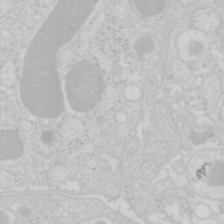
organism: Mouse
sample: Pancreas